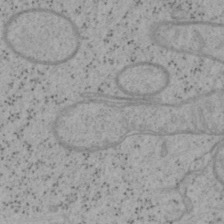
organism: Human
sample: HeLa cells